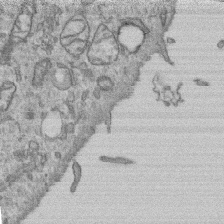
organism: Human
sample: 1205lu cells